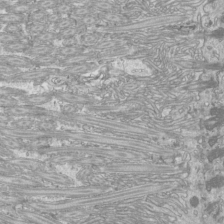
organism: Mouse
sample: Cilia; mouse epididymis